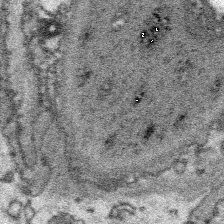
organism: Platynereis dumerilii